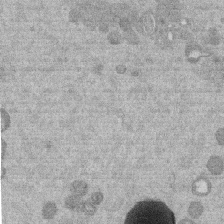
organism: Mouse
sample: Dividing mouse embryo 1 cell stage